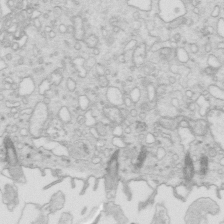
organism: Mouse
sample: Multiciliated cells